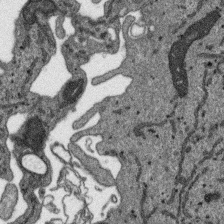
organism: Human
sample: Lung epithelial cells infected with SARS-CoV-2